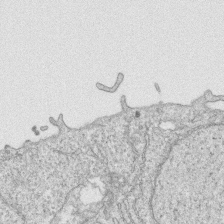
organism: Human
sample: HeLa cell HIV synapse